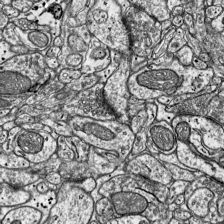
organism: Mouse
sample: Visual Cortex